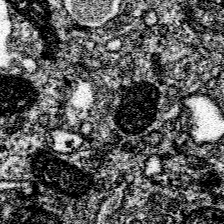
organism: Spongilla lacustris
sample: Neuroid cell